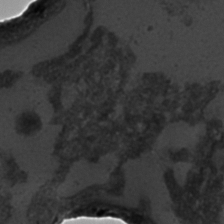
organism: C. elegans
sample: C. elegans embryo